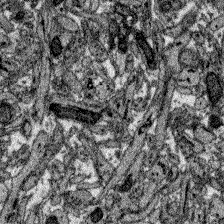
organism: Zebrafish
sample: Larval olfactory bulb